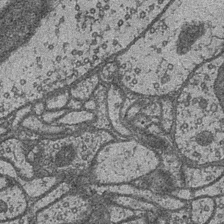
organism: Drosophila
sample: Optic medulla